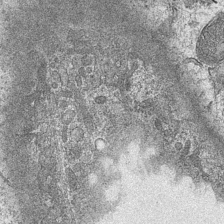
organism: Mouse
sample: CA1 Hippocampus